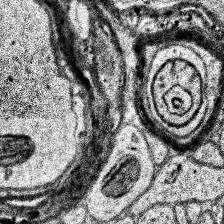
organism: Human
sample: Temporal Lobe